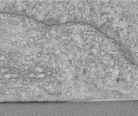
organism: Human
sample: Centriole in RPE cells